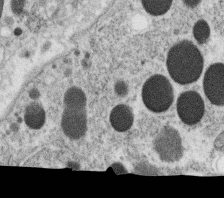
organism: C. elegans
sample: C. elegans oocyte; sperm cells